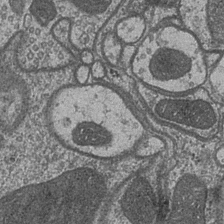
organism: Drosophila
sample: Optic medulla